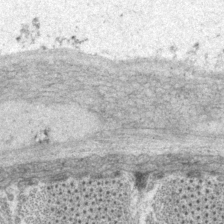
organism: P. pacificus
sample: Pharynx